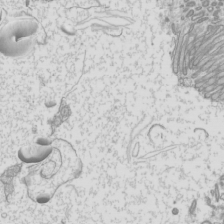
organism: Mouse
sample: Cilia; mouse epididymis